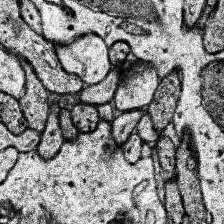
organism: Human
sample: Temporal Lobe